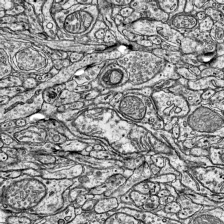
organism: Mouse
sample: Visual Cortex